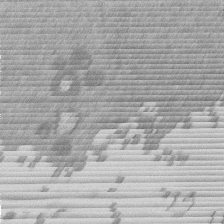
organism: Mouse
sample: Dividing mouse embryo 1 cell stage